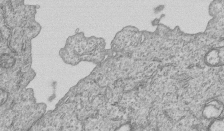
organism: Human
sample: MDA-MB-231 cells